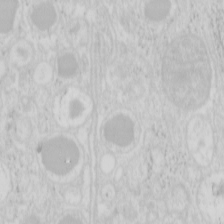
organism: Mouse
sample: Pancreas